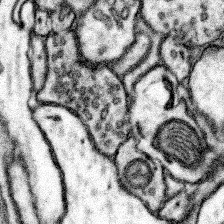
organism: Mouse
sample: Somatosensory cortex neuropil